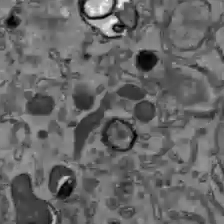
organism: C57BL Mouse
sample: Liver